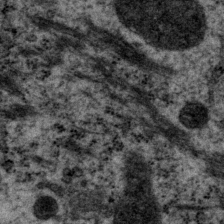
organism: P. pacificus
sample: Pharynx